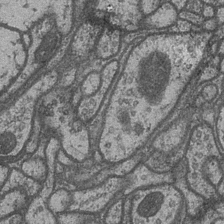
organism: Drosophila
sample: Optic medulla